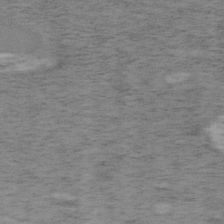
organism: Mouse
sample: OT-I killer T cells with ID8 ovarian cancer cells